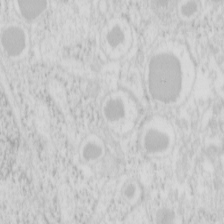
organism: Mouse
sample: Pancreas